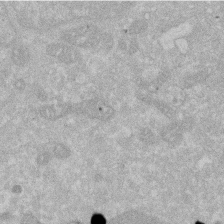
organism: Human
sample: HIV infected U937 cells